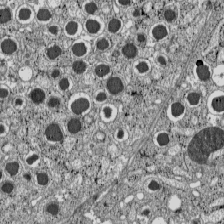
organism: C57BL Mouse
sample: Pancreatic islet